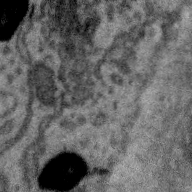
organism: Zebra finch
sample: Brain